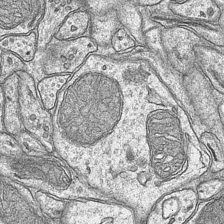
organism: Mouse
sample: CA1 Hippocampus